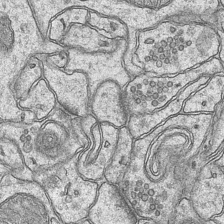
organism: Mouse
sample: CA1 Hippocampus